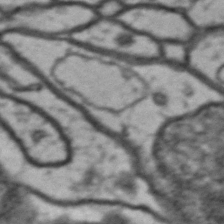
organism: Drosophila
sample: Brain